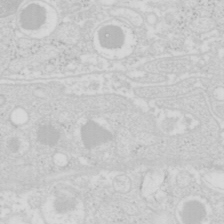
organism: Mouse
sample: Pancreas